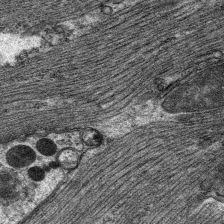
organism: C. elegans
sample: Pharynx